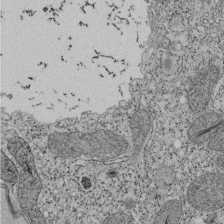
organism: Tetrahymena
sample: Cilia in tetrahymena